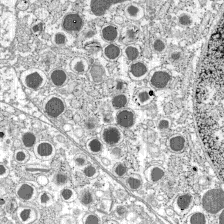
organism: C57BL Mouse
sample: Pancreatic islet